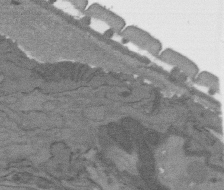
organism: C. elegans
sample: AFD neurons C. elegans